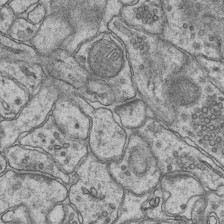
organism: Mouse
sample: CA1 Hippocampus